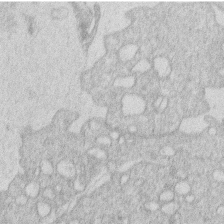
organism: Human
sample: Macrophage cells